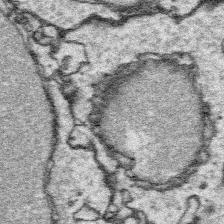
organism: Platynereis dumerilii